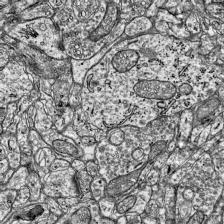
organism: Mouse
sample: Visual Cortex